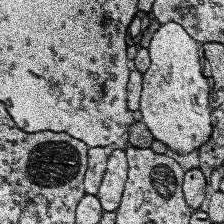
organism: Human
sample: Temporal Lobe